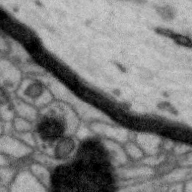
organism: Zebra finch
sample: Brain